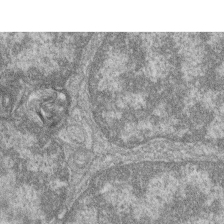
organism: Zebrafish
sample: Cilia; retinal pigment epithelium